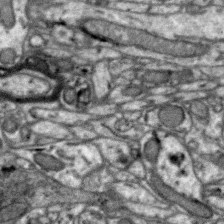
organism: Zebra finch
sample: Brain